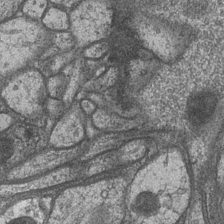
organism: Drosophila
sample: Optic medulla